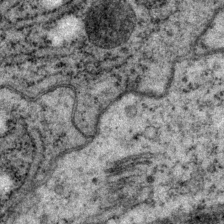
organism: P. pacificus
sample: Pharynx